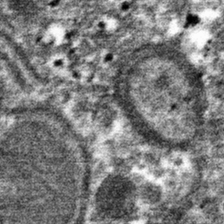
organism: Mouse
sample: Mouse hepatocytes